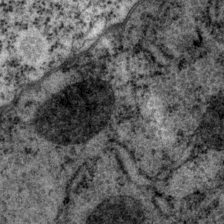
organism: P. pacificus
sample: Pharynx